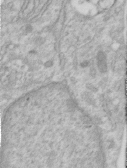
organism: Human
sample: Centriole in RPE cells